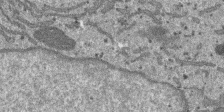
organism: Human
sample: Lung epithelial cells infected with SARS-CoV-2